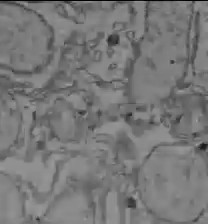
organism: C57BL Mouse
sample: Liver